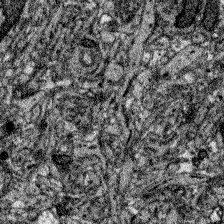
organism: Zebrafish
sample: Larval olfactory bulb